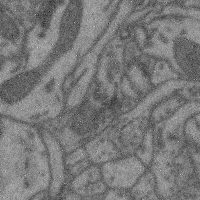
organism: Mouse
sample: Cerebral cortex